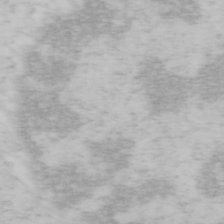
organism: Mouse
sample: OT-I killer T cells with ID8 ovarian cancer cells